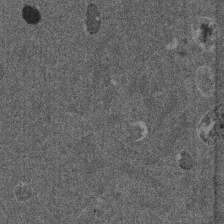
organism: Mouse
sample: Dividing mouse embryo 1 cell stage